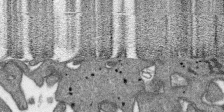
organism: Human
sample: Lung epithelial cells, uninfected (mock) control